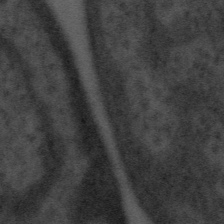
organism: Tuwongella immobilis